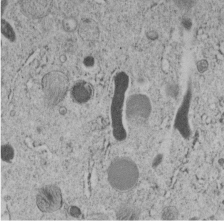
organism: C. elegans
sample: C. elegans embryo early stage